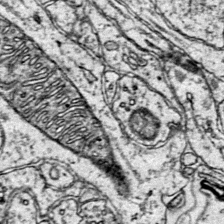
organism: Mouse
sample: Primary visual cortex